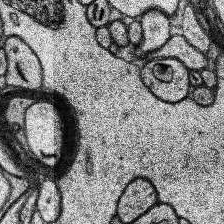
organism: Human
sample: Temporal Lobe